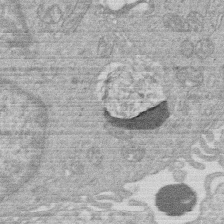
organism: Human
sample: Macrophage cells